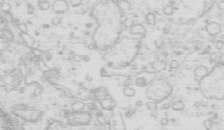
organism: Mouse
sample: Multiciliated cells